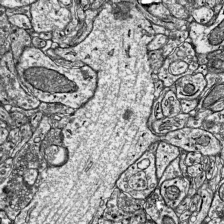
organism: Mouse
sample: Visual Cortex